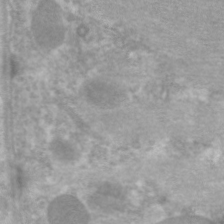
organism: C. elegans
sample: Pharynx